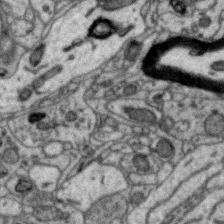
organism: Zebra finch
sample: Brain